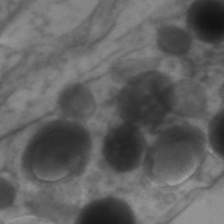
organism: Zebrafish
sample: Zebrafish embryo